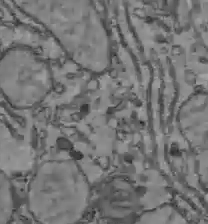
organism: C57BL Mouse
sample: Liver